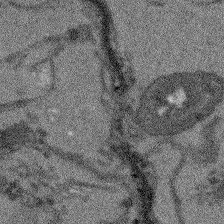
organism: Arabidopsis thaliana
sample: Root tip